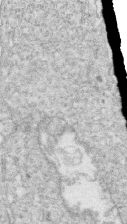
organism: Human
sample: HeLa cell HIV synapse